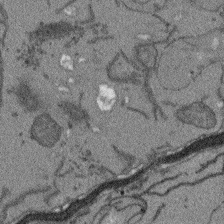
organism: Arabidopsis thaliana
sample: Root tip